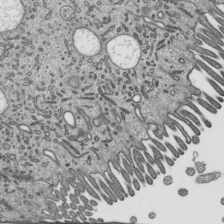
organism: Mouse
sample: Mouse epididymis efferent ductule cilia